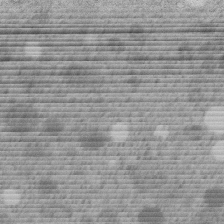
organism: C. elegans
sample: C. elegans embryo early stage